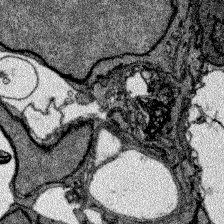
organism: Zebrafish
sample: Larval olfactory bulb